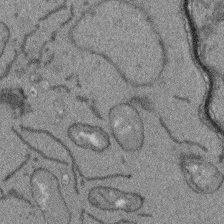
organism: Arabidopsis thaliana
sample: Root tip